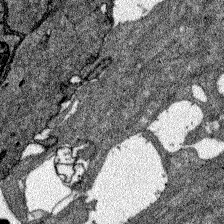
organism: Zebrafish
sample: Larval olfactory bulb